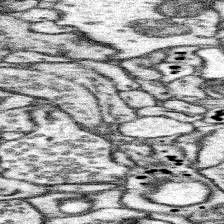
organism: Mouse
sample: Somatosensory cortex neuropil